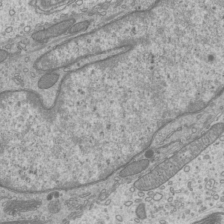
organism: Mouse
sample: Cilia; mouse epididymis